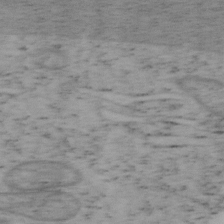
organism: Mouse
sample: OT-I killer T cells with ID8 ovarian cancer cells